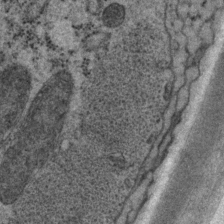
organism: P. pacificus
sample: Pharynx